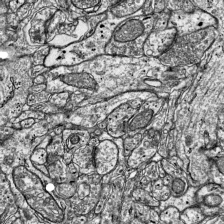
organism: Mouse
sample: Visual Cortex